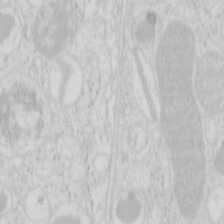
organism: Mouse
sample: Pancreas